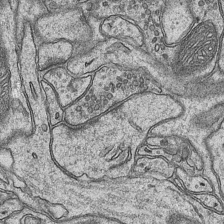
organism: Mouse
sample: CA1 Hippocampus